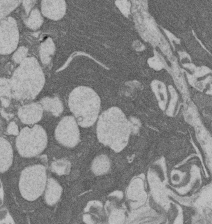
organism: Rat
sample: Salivary granule